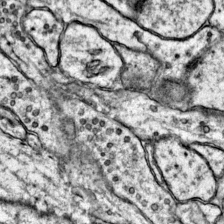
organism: Mouse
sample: Primary visual cortex